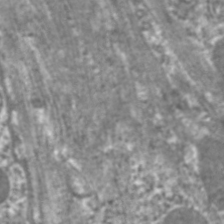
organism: C. elegans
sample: Pharynx